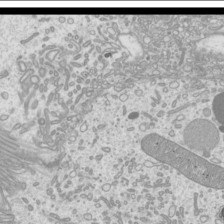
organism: Mouse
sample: Cilia; mouse epididymis